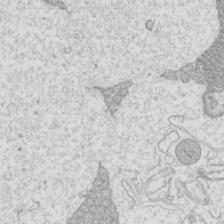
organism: Mouse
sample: Cilia; mouse epididymis